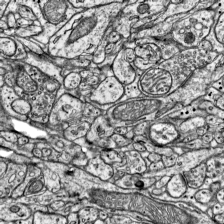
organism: Mouse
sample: Visual Cortex